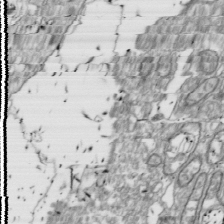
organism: Drosophila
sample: Cell division; meiosis; drosophila spermatocytes